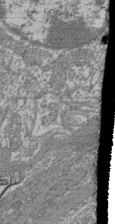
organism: Mouse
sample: Glomerulus